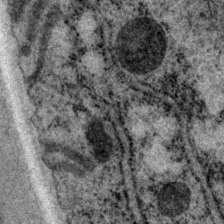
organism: P. pacificus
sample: Pharynx